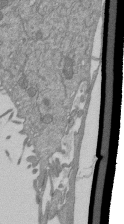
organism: Mouse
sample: ED-1 cell nuclei; centrioles